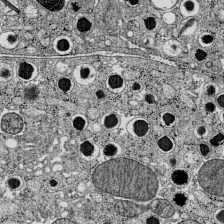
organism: C57BL Mouse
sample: Pancreatic islet